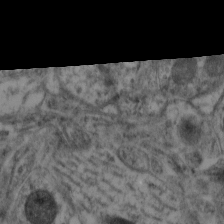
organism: Mouse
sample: Neocortex